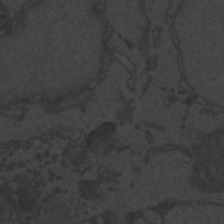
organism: Zebrafish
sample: Macrophage infected with Toxoplasma gondii